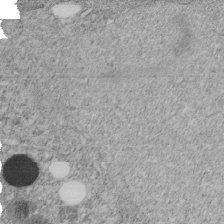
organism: C. elegans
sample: C. elegans embryo early stage